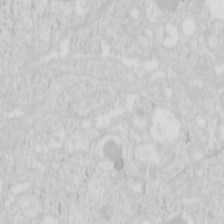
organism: Mouse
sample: Pancreas